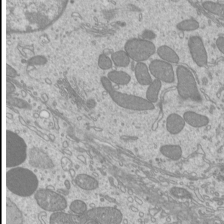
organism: Mouse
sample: Cilia; mouse epididymis